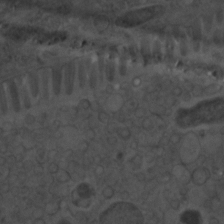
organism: C. elegans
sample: C. elegans embryo